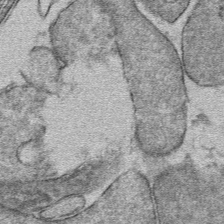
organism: Mouse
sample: Mouse hepatocytes